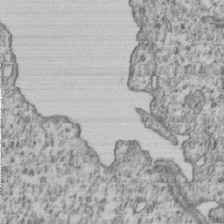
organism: Human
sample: MDA-MB-231 cells